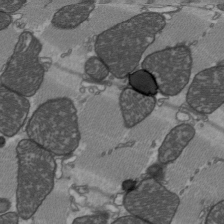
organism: C57BL Mouse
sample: Heart